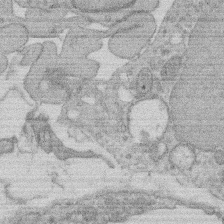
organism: Rat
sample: Salivary granule